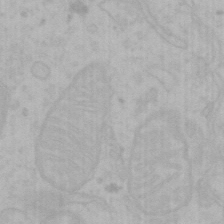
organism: Mouse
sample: Choroid plexus